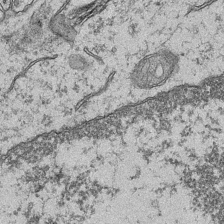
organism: Mouse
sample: CA1 Hippocampus